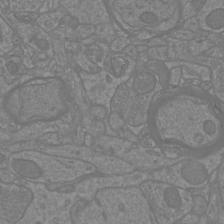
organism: Mouse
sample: Cortical neurons